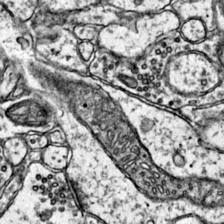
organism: Mouse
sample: Primary visual cortex